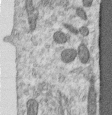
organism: Human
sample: Centriole in RPE cells